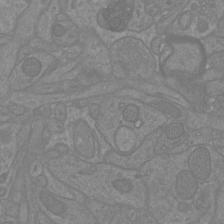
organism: Mouse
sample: Cortical neurons